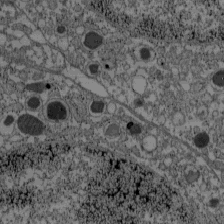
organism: C57BL Mouse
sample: Pancreatic islet